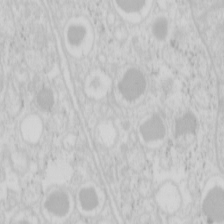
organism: Mouse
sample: Pancreas